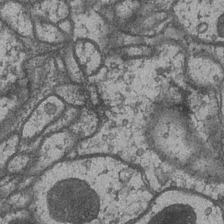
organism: Drosophila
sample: Optic medulla